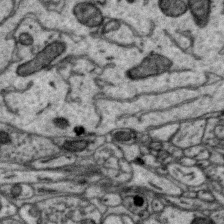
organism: Zebra finch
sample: Brain